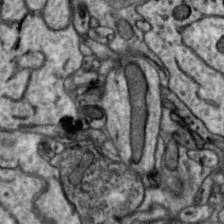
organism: Zebra finch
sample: Brain